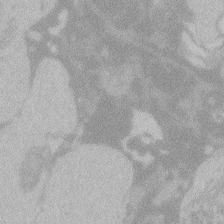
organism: Zebrafish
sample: Macrophage infected with Toxoplasma gondii